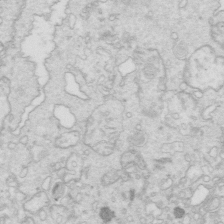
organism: Mouse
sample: Multiciliated cells